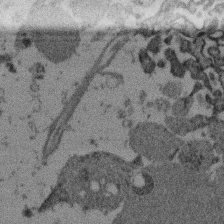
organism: Mouse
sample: Dividing mouse embryo 1 cell stage